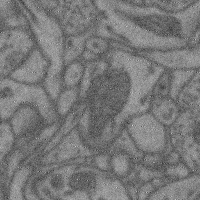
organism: Mouse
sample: Cerebral cortex